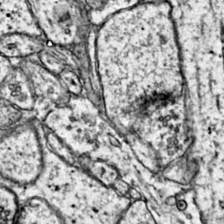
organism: Mouse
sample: Primary visual cortex